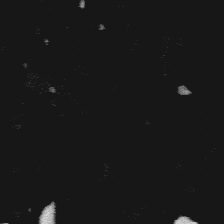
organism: Platynereis dumerilii